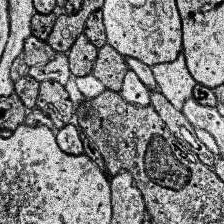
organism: Human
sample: Temporal Lobe